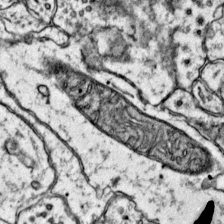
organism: Mouse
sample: Primary visual cortex